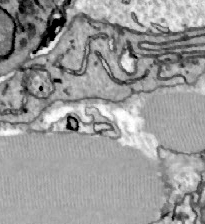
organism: Zebrafish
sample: Actinotrichia fibers